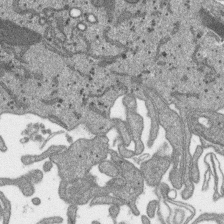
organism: Human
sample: Lung epithelial cells infected with SARS-CoV-2